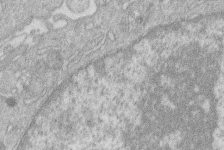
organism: Human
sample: Macrophage cells